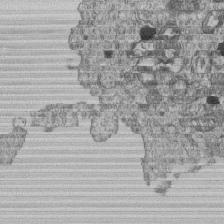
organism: Human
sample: MDA-MB-231 cells